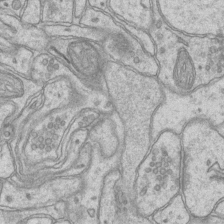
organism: Mouse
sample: CA1 Hippocampus